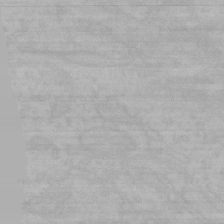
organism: Mouse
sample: Choroid plexus